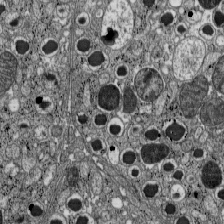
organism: C57BL Mouse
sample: Pancreatic islet